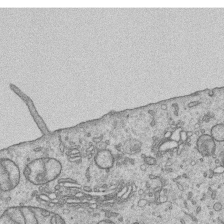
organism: Human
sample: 1205lu cells